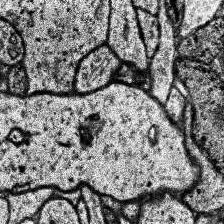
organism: Human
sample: Temporal Lobe